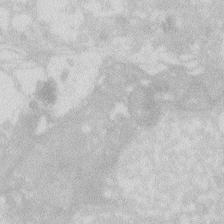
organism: Zebrafish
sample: Macrophage